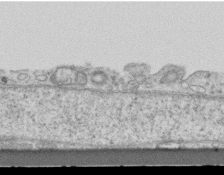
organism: Mouse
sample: Centriole in ependymal cells